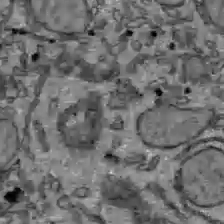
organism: C57BL Mouse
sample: Liver